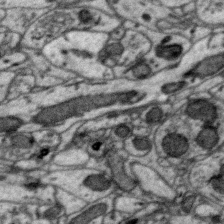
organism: Zebra finch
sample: Brain